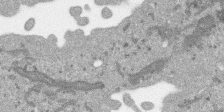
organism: Human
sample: Lung epithelial cells infected with SARS-CoV-2